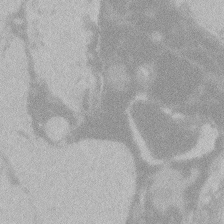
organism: Zebrafish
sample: Macrophage infected with Toxoplasma gondii